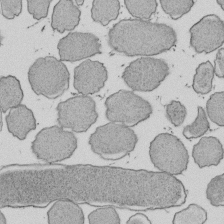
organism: E. coli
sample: Bacterial nucleoid